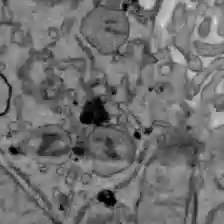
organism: C57BL Mouse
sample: Liver